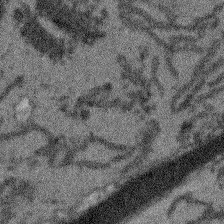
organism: Arabidopsis thaliana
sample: Root tip